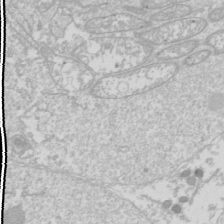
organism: Drosophila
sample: Cell division; meiosis; drosophila spermatocytes